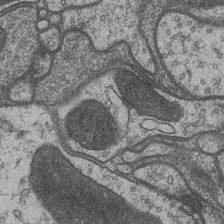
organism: Drosophila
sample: Optic medulla